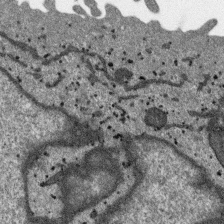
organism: Human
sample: Lung epithelial cells, uninfected (mock) control